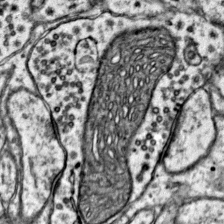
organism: Mouse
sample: Primary visual cortex